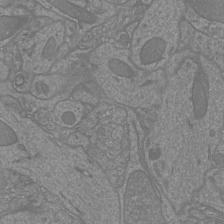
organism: Mouse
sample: Cortical neurons